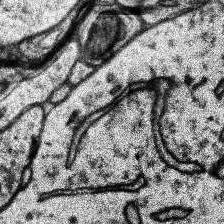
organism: Human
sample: Temporal Lobe